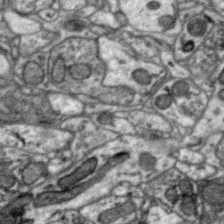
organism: Zebra finch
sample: Brain